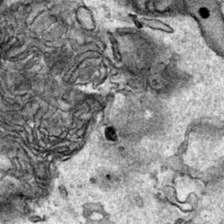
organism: Human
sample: Mitochondria in HCT116 cells